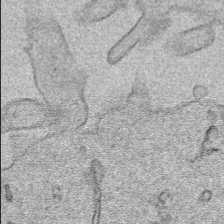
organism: Human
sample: Mitochondria in HCT116 cells